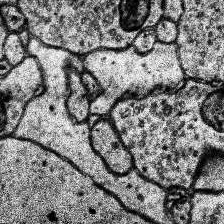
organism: Human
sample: Temporal Lobe